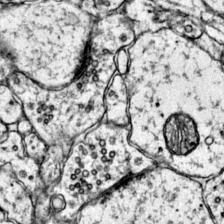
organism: Mouse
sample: Primary visual cortex